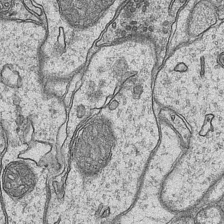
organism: Mouse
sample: CA1 Hippocampus